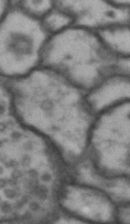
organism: Drosophila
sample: Brain